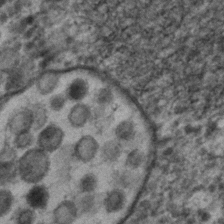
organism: C. elegans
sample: C. elegans embryo